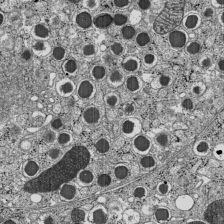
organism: C57BL Mouse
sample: Pancreatic islet